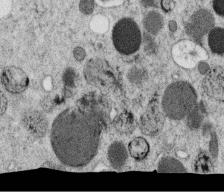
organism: C. elegans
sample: C. elegans oocyte; sperm cells